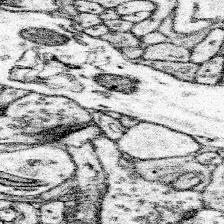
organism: Mouse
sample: Somatosensory cortex neuropil